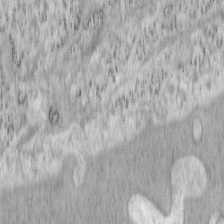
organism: Human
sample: HeLa cells